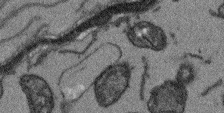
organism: Arabidopsis thaliana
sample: Root tip